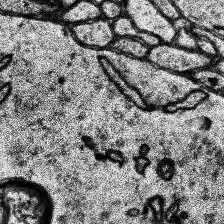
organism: Human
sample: Temporal Lobe